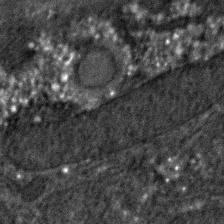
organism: C. elegans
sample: C. elegans embryo